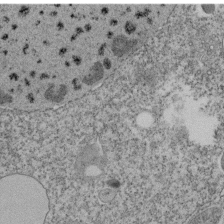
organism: Tetrahymena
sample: Cilia in tetrahymena